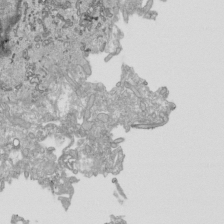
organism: Human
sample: Mitochondria in HCT116 cells